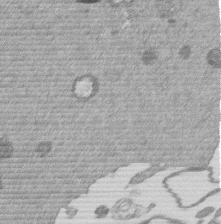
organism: Mouse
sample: Dividing mouse embryo 1 cell stage